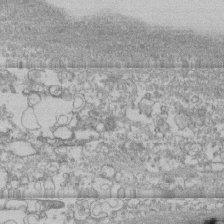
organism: Human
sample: CRL-1474